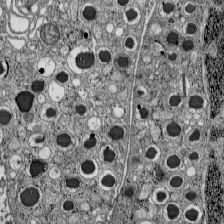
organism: C57BL Mouse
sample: Pancreatic islet